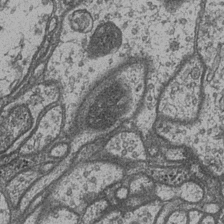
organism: Drosophila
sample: Optic medulla